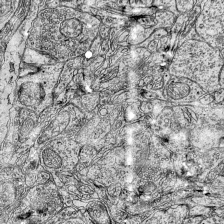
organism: Mouse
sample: Visual Cortex